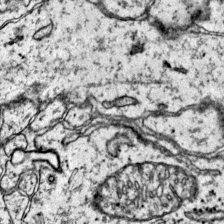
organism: Mouse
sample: Primary visual cortex